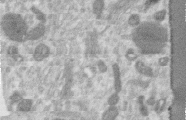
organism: Human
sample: Centriole in RPE cells